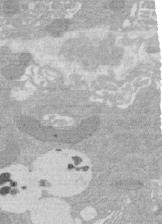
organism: Rat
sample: Salivary granule